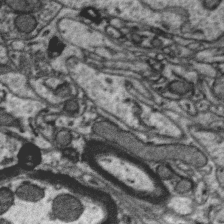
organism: Zebra finch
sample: Brain